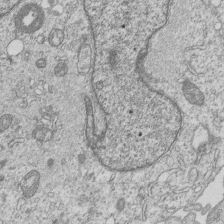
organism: Human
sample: MDA-MB-231 cells